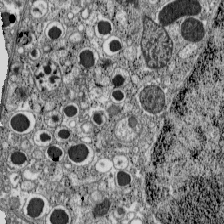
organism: C57BL Mouse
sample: Pancreatic islet